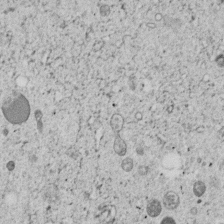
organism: C. elegans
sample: C. elegans embryo early stage